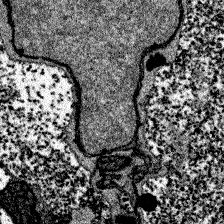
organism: Zebrafish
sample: Larval olfactory bulb